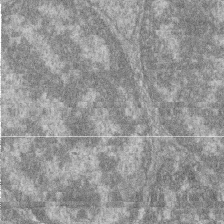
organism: Zebrafish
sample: Cilia; retinal pigment epithelium